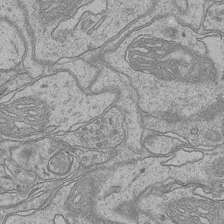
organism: Mouse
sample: CA1 Hippocampus